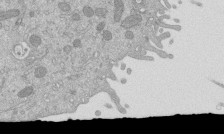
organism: Mouse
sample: ED-1 cell nuclei; centrioles